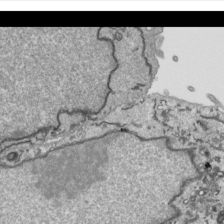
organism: Human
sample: Mitochondria in HCT116 cells